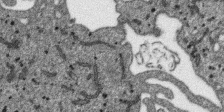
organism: Human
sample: Lung epithelial cells infected with SARS-CoV-2